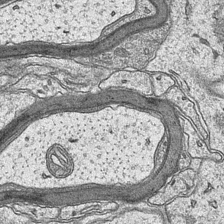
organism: Mouse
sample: CA1 Hippocampus